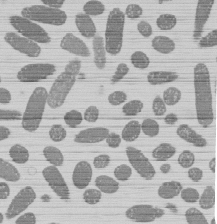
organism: E. coli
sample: Bacterial nucleoid